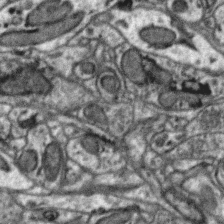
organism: Zebra finch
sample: Brain